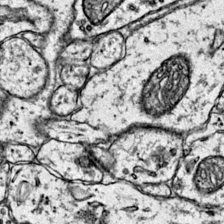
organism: Mouse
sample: Primary visual cortex